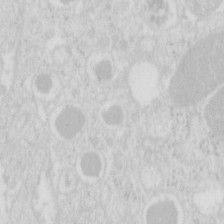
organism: Mouse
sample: Pancreas